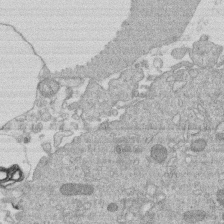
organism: Human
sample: Macrophage cells